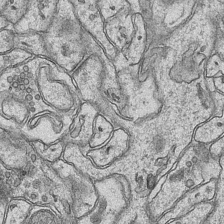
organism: Mouse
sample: CA1 Hippocampus